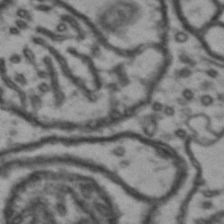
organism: Drosophila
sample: Brain